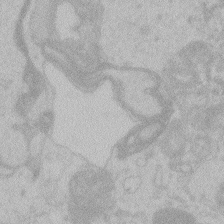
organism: Zebrafish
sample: Macrophage infected with Toxoplasma gondii